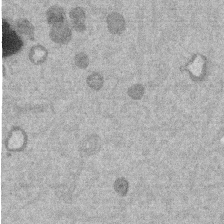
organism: Mouse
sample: Dividing mouse embryo 1 cell stage